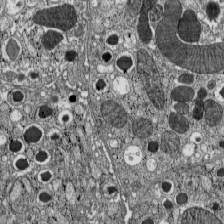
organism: C57BL Mouse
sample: Pancreatic islet